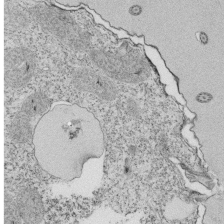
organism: Tetrahymena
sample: Cilia in tetrahymena